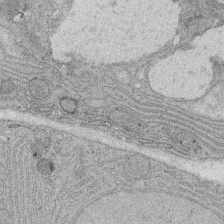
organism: Rat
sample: Salivary granule